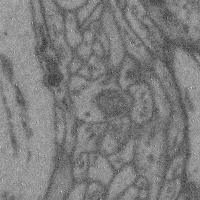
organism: Mouse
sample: Cerebral cortex